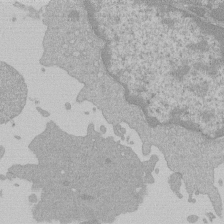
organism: Mouse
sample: Activated Pmel transgenic CD8+ T Cells